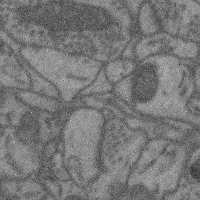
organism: Mouse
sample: Cerebral cortex